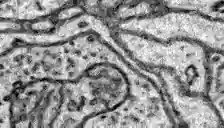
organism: Zebrafish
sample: Brain